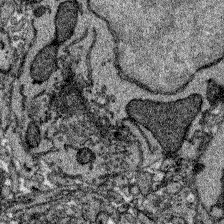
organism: Zebrafish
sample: Larval olfactory bulb